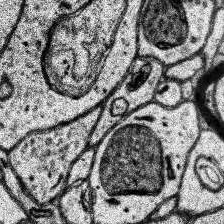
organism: Human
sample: Temporal Lobe